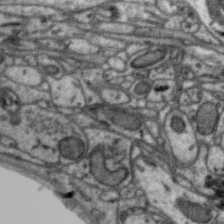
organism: Zebra finch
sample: Brain